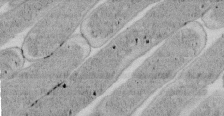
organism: E. coli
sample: Bacterial nucleoid